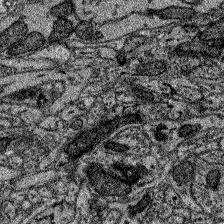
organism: Zebrafish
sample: Larval olfactory bulb